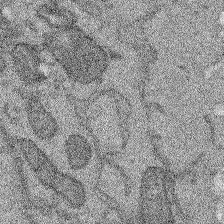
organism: Human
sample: HeLa cells